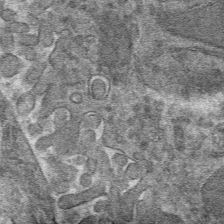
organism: Mouse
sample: Mouse hepatocytes